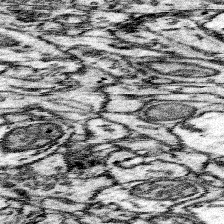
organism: Mouse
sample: Somatosensory cortex neuropil